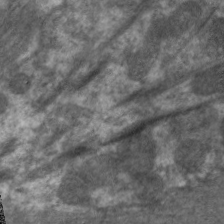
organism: C. elegans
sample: Pharynx